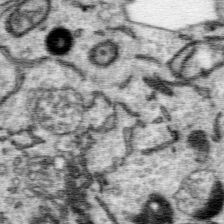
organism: Human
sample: HeLa cells